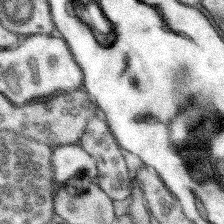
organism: Mouse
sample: Somatosensory cortex neuropil